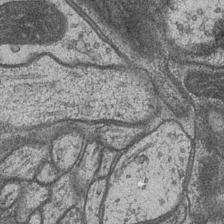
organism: Drosophila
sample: Optic medulla